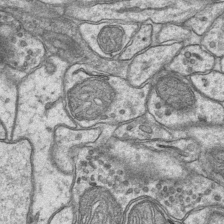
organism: Mouse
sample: CA1 Hippocampus